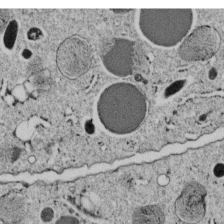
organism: C. elegans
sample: C. elegans embryo early stage